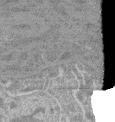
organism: Mouse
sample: Glomerulus